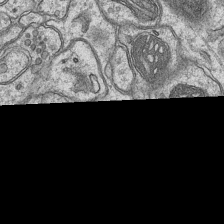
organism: Mouse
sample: CA1 Hippocampus